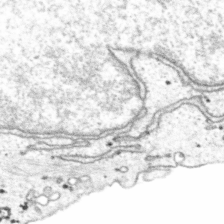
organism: Human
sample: HeLa cells